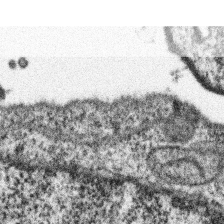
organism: Human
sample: HeLa cells